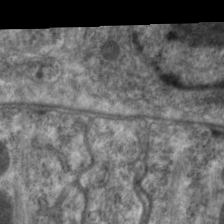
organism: C. elegans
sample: Pharynx